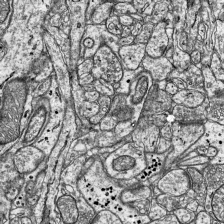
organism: Mouse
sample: Visual Cortex